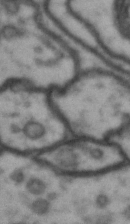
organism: Drosophila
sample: Brain